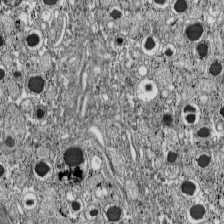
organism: C57BL Mouse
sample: Pancreatic islet